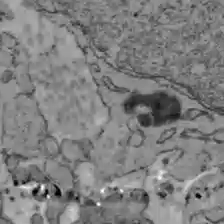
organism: C57BL Mouse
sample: Liver